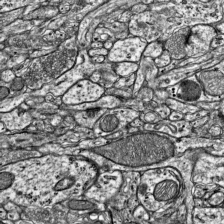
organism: Mouse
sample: Visual Cortex